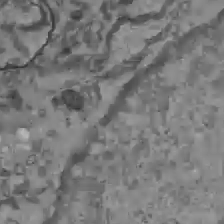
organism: C57BL Mouse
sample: Liver